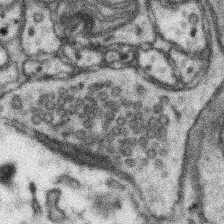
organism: Mouse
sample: Somatosensory cortex neuropil